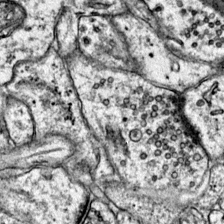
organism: Mouse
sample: Primary visual cortex